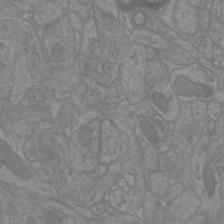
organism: Mouse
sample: Cortical neurons